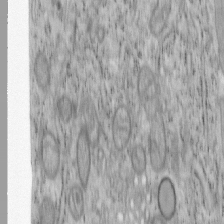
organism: Human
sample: HeLa cells